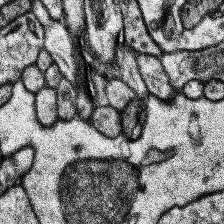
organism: Human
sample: Temporal Lobe